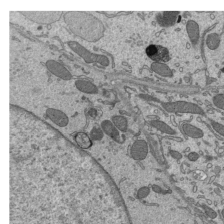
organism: Mouse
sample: Mouse epididymis efferent ductule cilia